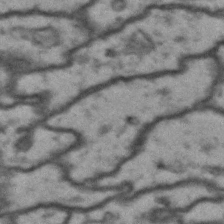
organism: Drosophila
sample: Brain